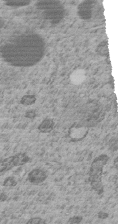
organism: C. elegans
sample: C. elegans embryo early stage